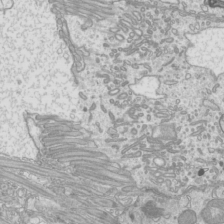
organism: Mouse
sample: Cilia; mouse epididymis